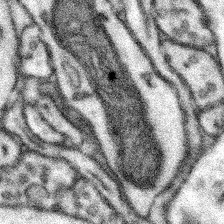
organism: Mouse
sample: Somatosensory cortex neuropil